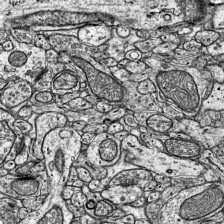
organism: Mouse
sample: Visual Cortex